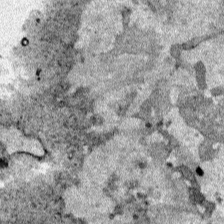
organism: Human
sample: Mitochondria in HCT116 cells